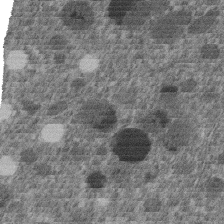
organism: C. elegans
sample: C. elegans embryo early stage